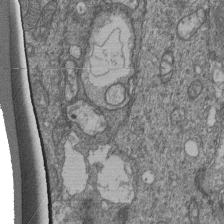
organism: Human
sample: Retinal organoid Rod and Cone cells